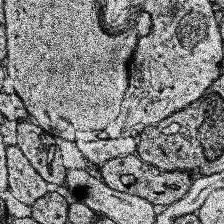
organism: Human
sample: Temporal Lobe